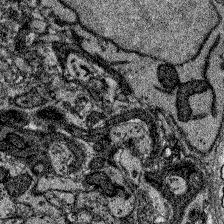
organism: Zebrafish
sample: Larval olfactory bulb